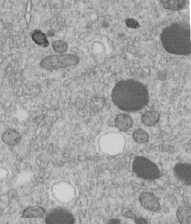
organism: C. elegans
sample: C. elegans embryo early stage